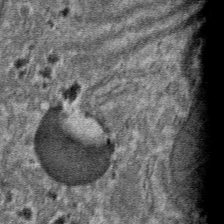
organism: Mouse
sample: Mouse hepatocytes